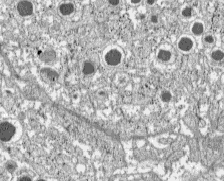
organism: C57BL Mouse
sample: Pancreatic islet